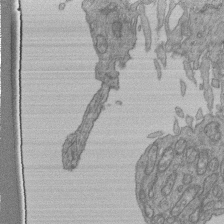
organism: Human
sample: Retinal organoid Rod and Cone cells